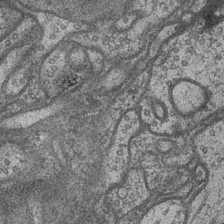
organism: Drosophila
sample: Optic medulla